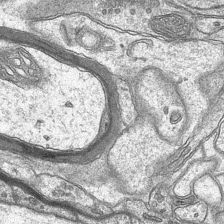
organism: Mouse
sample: CA1 Hippocampus